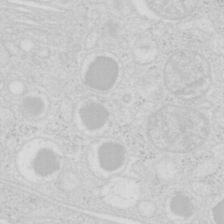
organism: Mouse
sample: Pancreas